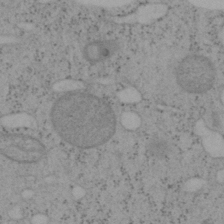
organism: Mouse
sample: OT-I killer T cells with ID8 ovarian cancer cells